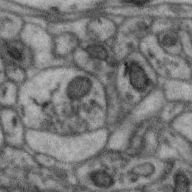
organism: Zebra finch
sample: Brain